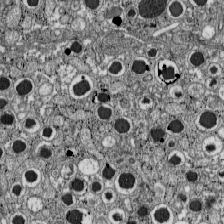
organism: C57BL Mouse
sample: Pancreatic islet